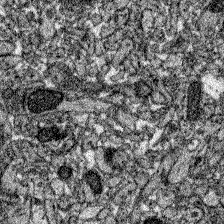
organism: Zebrafish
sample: Larval olfactory bulb